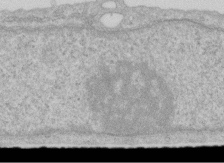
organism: Human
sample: Centriole in RPE cells